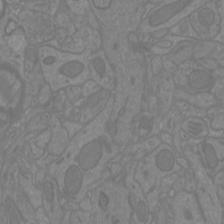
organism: Mouse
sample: Cortical neurons